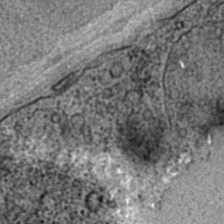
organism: C. elegans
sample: C. elegans embryo